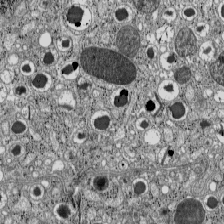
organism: C57BL Mouse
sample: Pancreatic islet